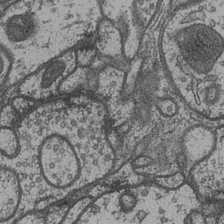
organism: Drosophila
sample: Optic medulla